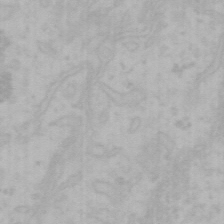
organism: Mouse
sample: Choroid plexus